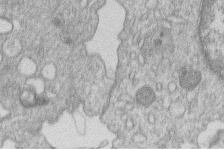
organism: Human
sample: Macrophage cells